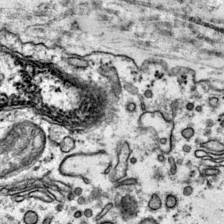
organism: Mouse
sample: Primary visual cortex